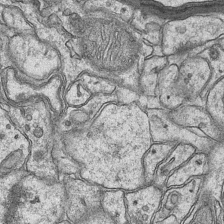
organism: Mouse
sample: CA1 Hippocampus